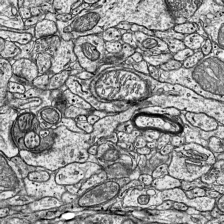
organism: Mouse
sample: Visual Cortex